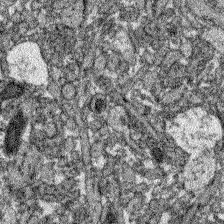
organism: Zebrafish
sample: Larval olfactory bulb